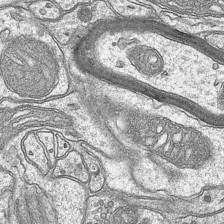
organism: Mouse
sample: CA1 Hippocampus